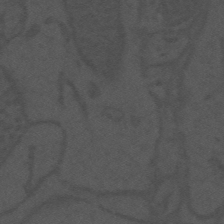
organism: Mouse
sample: Suprachiasmatic nucleus